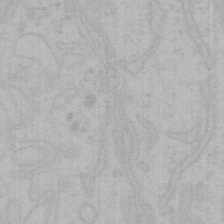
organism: Mouse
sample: Choroid plexus